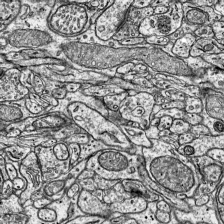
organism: Mouse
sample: Visual Cortex